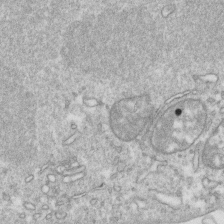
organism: Mouse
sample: Activated OT-1 CD8+ T cells